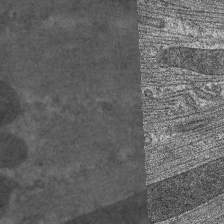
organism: C. elegans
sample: Pharynx